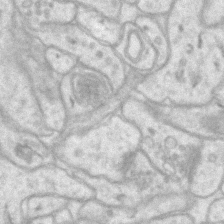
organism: Mouse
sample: CA1 Hippocampus